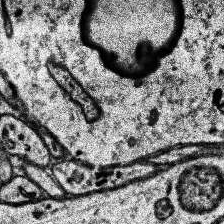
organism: Human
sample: Temporal Lobe